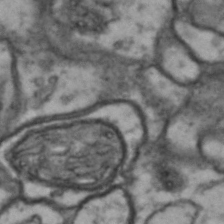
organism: Drosophila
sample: Brain